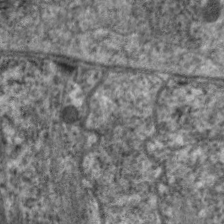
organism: C. elegans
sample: Pharynx